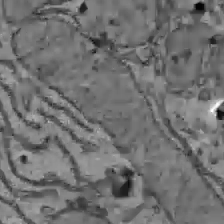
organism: C57BL Mouse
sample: Liver